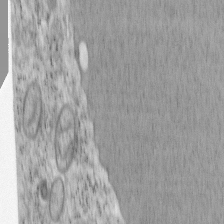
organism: Human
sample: HeLa cells